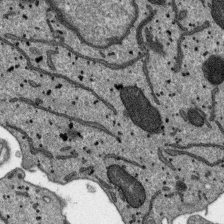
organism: Human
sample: Lung epithelial cells, uninfected (mock) control